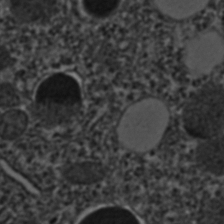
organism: C. elegans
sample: C. elegans embryo